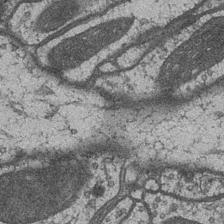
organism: Drosophila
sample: Optic medulla